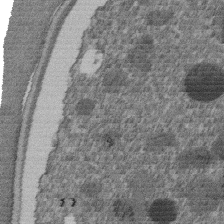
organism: C. elegans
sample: C. elegans embryo early stage